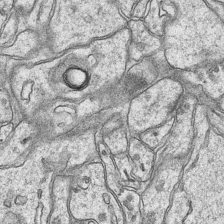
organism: Mouse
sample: CA1 Hippocampus